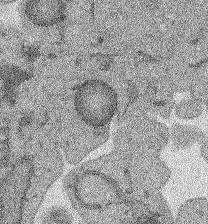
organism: Human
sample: HeLa cells